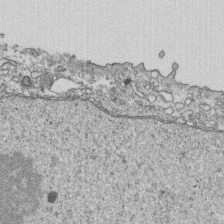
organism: Human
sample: HeLa cell HIV synapse